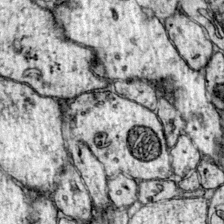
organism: Mouse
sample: Primary visual cortex